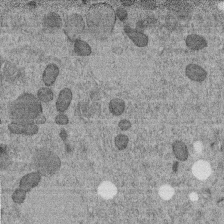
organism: C. elegans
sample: C. elegans embryo early stage